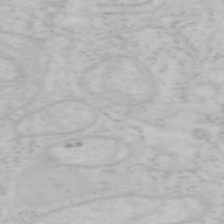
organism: Mouse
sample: OT-I killer T cells with ID8 ovarian cancer cells